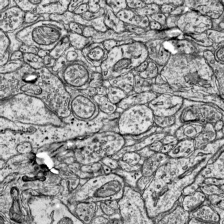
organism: Mouse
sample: Visual Cortex